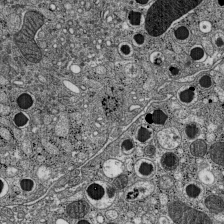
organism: C57BL Mouse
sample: Pancreatic islet